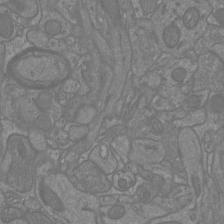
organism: Mouse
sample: Cortical neurons